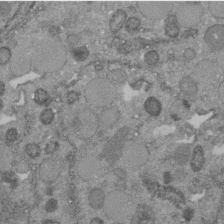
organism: C. elegans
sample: C. elegans embryo early stage